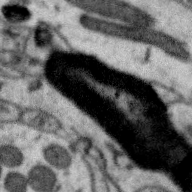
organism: Zebra finch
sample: Brain